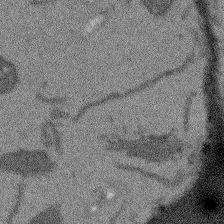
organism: Arabidopsis thaliana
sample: Root tip